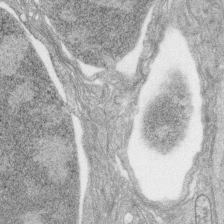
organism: Zebrafish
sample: synaptic ribbons in rod cells and cone cells